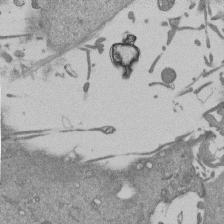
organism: Mouse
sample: ED-1 cell nuclei; centrioles